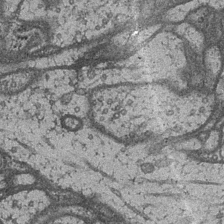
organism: Drosophila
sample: Optic medulla